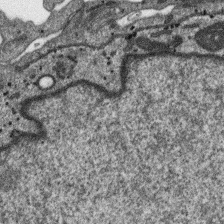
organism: Human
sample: Lung epithelial cells infected with SARS-CoV-2